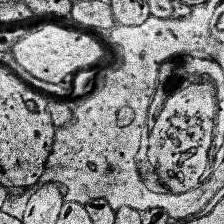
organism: Human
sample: Temporal Lobe